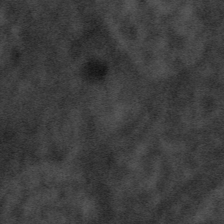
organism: Tuwongella immobilis